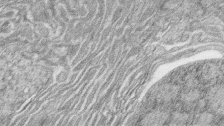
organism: Zebrafish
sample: synaptic ribbons in rod cells and cone cells